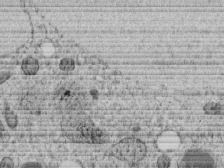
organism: C. elegans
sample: C. elegans embryo early stage